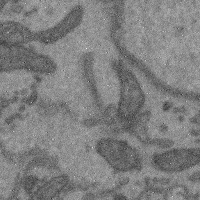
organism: Mouse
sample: Cerebral cortex